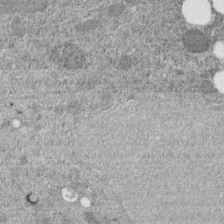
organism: C. elegans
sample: C. elegans embryo early stage